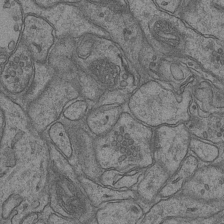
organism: Mouse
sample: CA1 Hippocampus